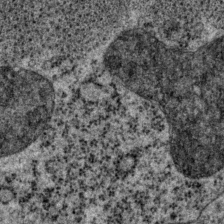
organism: P. pacificus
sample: Pharynx